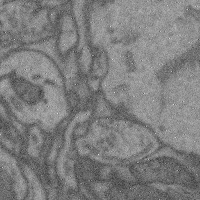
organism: Mouse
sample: Cerebral cortex